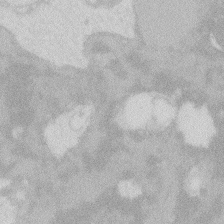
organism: Zebrafish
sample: Macrophage